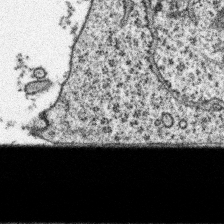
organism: Human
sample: HeLa cells